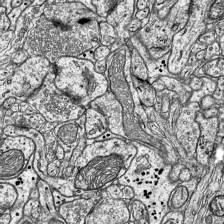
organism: Mouse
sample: Visual Cortex